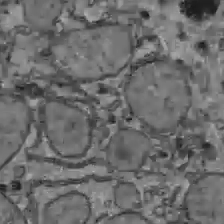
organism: C57BL Mouse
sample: Liver